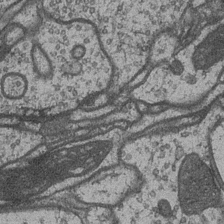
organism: Drosophila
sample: Optic medulla